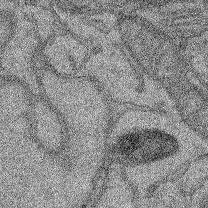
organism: Human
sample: HeLa cells